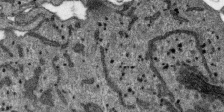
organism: Human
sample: Lung epithelial cells, uninfected (mock) control